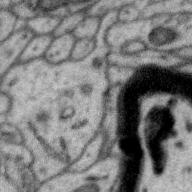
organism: Zebra finch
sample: Brain